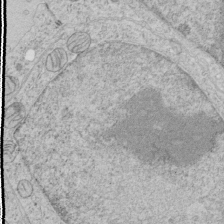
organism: Human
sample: Mitochondria in HCT116 cells